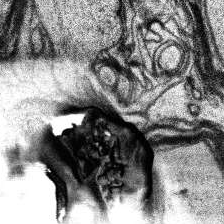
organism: Human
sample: Temporal Lobe